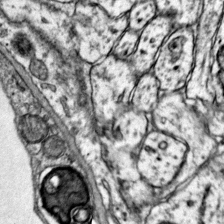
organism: Mouse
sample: Primary visual cortex